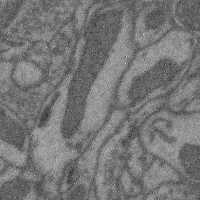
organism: Mouse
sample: Cerebral cortex